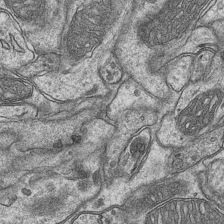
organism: Mouse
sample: CA1 Hippocampus